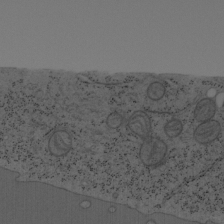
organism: Mouse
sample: OT-I killer T cells with ID8 ovarian cancer cells